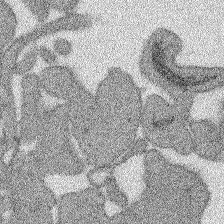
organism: Human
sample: HeLa cells